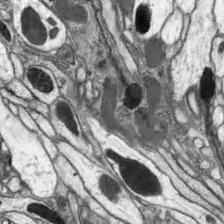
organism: Drosophila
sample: Optic lobe